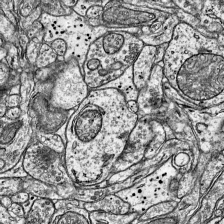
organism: Mouse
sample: Visual Cortex